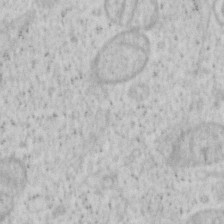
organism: Human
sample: HeLa cells